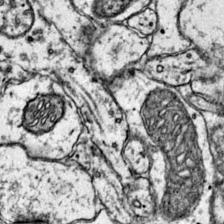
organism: Mouse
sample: Primary visual cortex